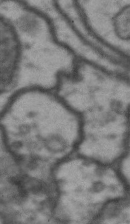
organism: Drosophila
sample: Brain